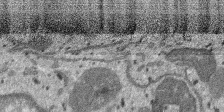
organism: Human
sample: Lung epithelial cells infected with SARS-CoV-2